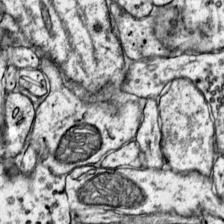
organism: Mouse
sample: Primary visual cortex